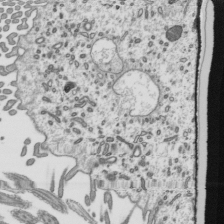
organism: Mouse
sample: Mouse epididymis efferent ductule cilia